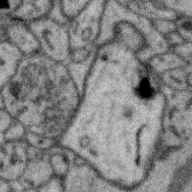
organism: Zebra finch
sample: Brain